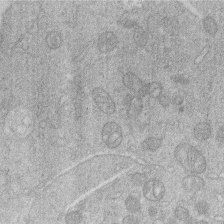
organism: Human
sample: Macrophage cells